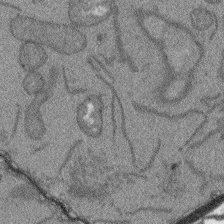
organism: Arabidopsis thaliana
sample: Root tip